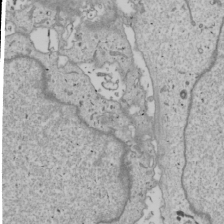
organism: Human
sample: Mitochondria in U2OS cells